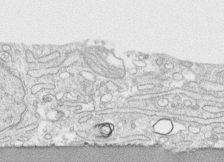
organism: Human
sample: CRL-1474